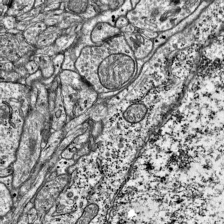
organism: Mouse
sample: Visual Cortex